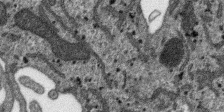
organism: Human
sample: Lung epithelial cells infected with SARS-CoV-2